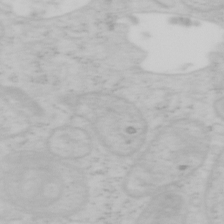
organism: Mouse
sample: OT-I killer T cells with ID8 ovarian cancer cells